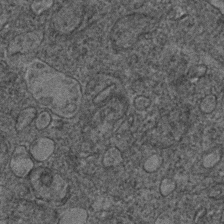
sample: Trachea